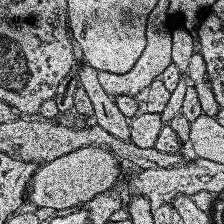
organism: Human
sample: Temporal Lobe